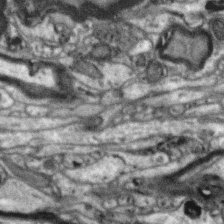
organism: Zebra finch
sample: Brain